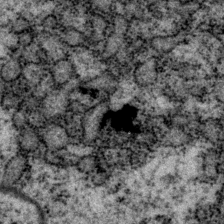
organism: P. pacificus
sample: Pharynx